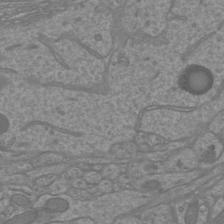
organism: Mouse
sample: Cortical neurons